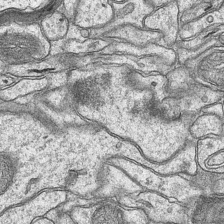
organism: Mouse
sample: CA1 Hippocampus